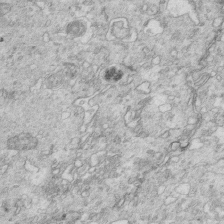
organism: Mouse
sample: Multiciliated cells